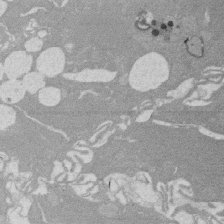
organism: Rat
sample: Salivary granule